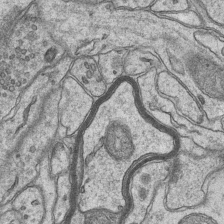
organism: Mouse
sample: CA1 Hippocampus